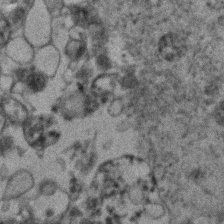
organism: Human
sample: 1205lu cells